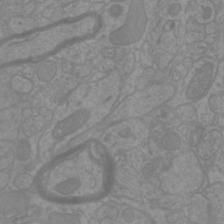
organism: Mouse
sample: Cortical neurons